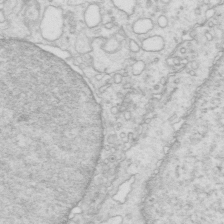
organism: Mouse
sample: Multiciliated cells